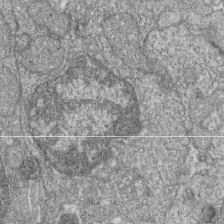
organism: Zebrafish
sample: Cilia; retinal pigment epithelium